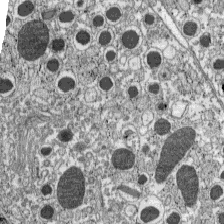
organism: C57BL Mouse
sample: Pancreatic islet